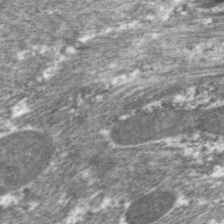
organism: C. elegans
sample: Pharynx